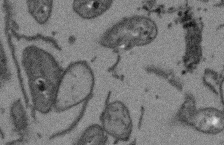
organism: Arabidopsis thaliana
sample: Root tip